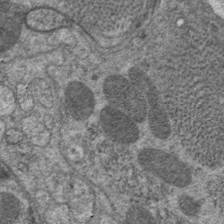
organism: C. elegans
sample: Pharynx